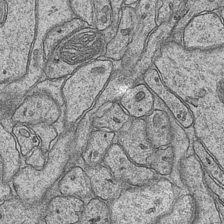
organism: Mouse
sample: CA1 Hippocampus